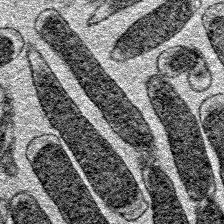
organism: E. coli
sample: E. Coli Bacteria